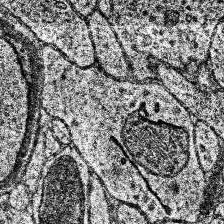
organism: Human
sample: Temporal Lobe